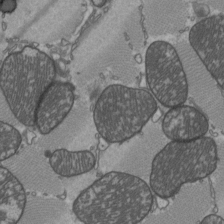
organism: C57BL Mouse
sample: Heart